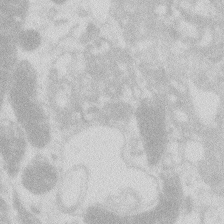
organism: Zebrafish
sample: Macrophage